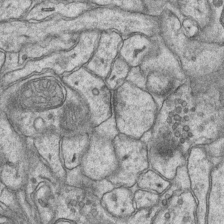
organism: Mouse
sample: CA1 Hippocampus